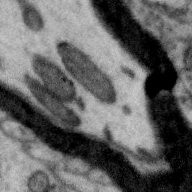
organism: Zebra finch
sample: Brain